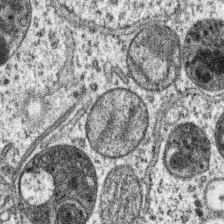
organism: Human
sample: HeLa cells